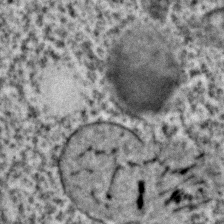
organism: C. elegans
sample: C. elegans embryo